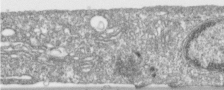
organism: Human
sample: Centriole in RPE cells